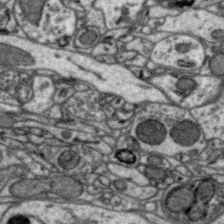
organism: Zebra finch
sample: Brain